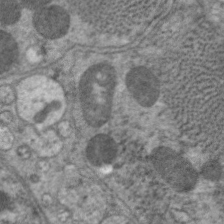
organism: C. elegans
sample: Pharynx